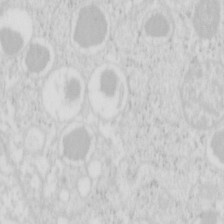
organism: Mouse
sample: Pancreas